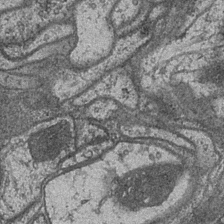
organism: Drosophila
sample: Optic medulla